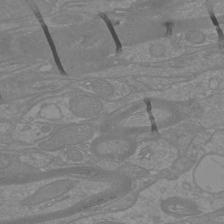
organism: Mouse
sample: Cortical neurons